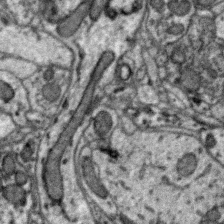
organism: Zebra finch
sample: Brain